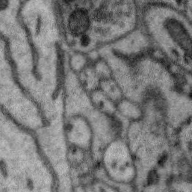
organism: Zebra finch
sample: Brain